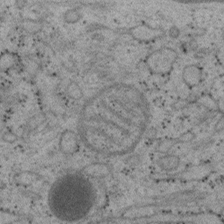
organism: Human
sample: HeLa cells